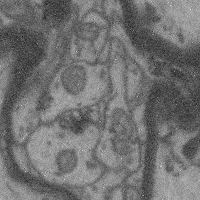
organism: Mouse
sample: Cerebral cortex